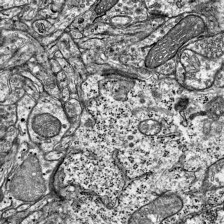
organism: Mouse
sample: Visual Cortex